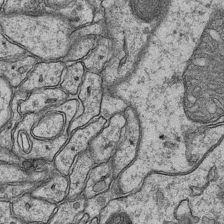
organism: Mouse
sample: CA1 Hippocampus